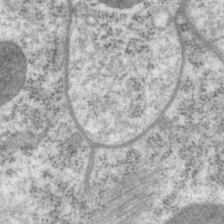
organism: P. pacificus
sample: Pharynx